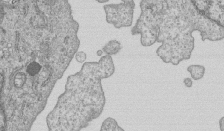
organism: Human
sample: MDA-MB-231 cells